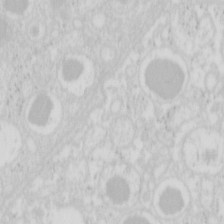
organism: Mouse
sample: Pancreas